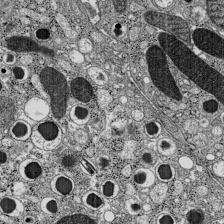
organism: C57BL Mouse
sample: Pancreatic islet